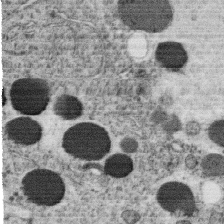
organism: C. elegans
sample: C. elegans oocyte; sperm cells